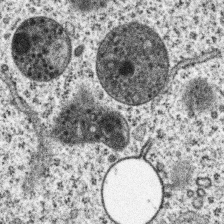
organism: Human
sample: HeLa cells